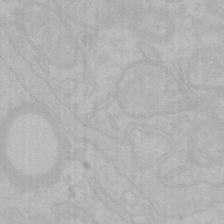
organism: Mouse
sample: Choroid plexus